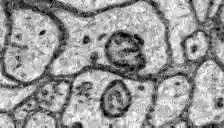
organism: Zebrafish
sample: Brain